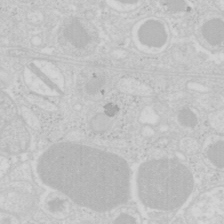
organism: Mouse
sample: Pancreas